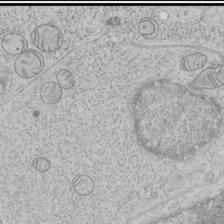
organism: Human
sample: Mitochondria in HCT116 cells